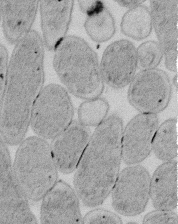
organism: E. coli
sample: Bacterial nucleoid